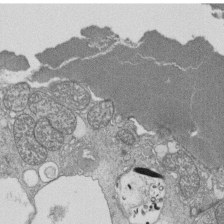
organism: Tetrahymena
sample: Cilia in tetrahymena